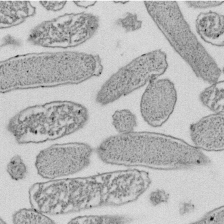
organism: E. coli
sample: Bacterial nucleoid